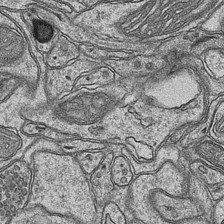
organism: Mouse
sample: CA1 Hippocampus